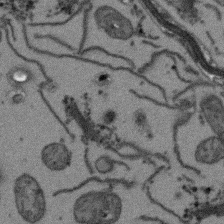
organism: Arabidopsis thaliana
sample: Root tip